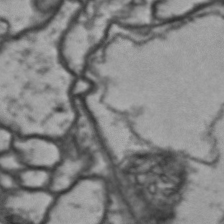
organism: Drosophila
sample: Brain